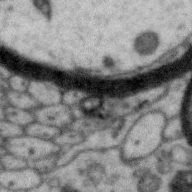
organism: Zebra finch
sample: Brain